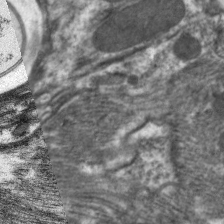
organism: C. elegans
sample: Pharynx